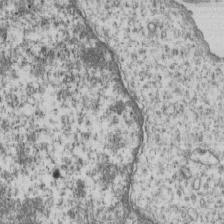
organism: Human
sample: MDA-MB-231 cells